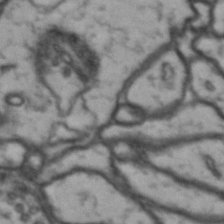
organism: Drosophila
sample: Brain